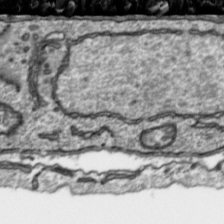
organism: Toxoplasma gondii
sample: Parasites in a vacuole inside a host cell